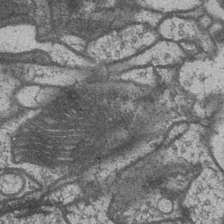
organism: Drosophila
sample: Optic medulla